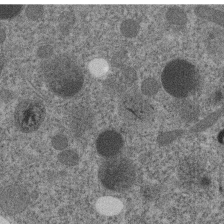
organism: C. elegans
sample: C. elegans embryo early stage